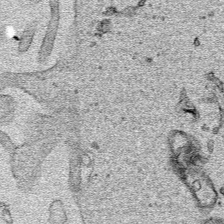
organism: Human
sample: Mitochondria in HCT116 cells